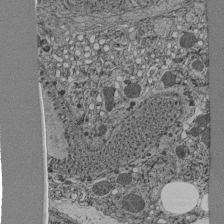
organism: C. elegans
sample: C. elegans pharynx